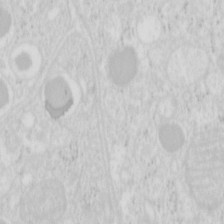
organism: Mouse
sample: Pancreas